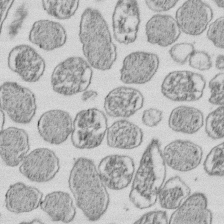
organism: E. coli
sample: Bacterial nucleoid